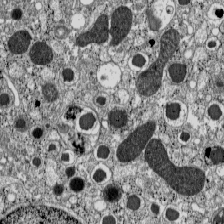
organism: C57BL Mouse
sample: Pancreatic islet